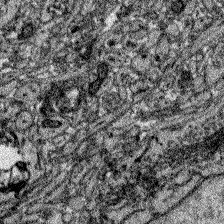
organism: Zebrafish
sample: Larval olfactory bulb